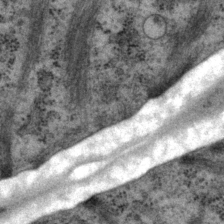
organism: P. pacificus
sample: Pharynx